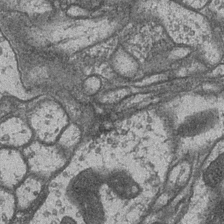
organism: Drosophila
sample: Optic medulla